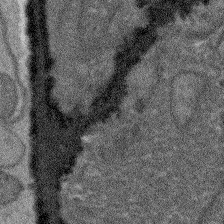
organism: Arabidopsis thaliana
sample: Root tip